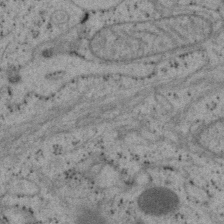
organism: Human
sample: HeLa cells